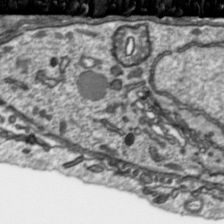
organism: Toxoplasma gondii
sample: Parasites in a vacuole inside a host cell